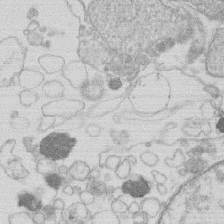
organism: Human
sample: Macrophage cells